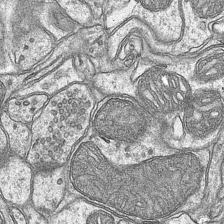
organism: Mouse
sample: CA1 Hippocampus